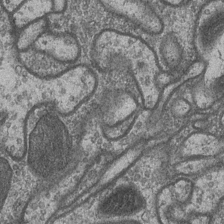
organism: Drosophila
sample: Optic medulla